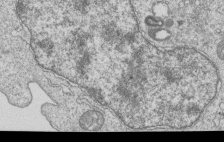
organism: Human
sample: MDA-MB-231 cells